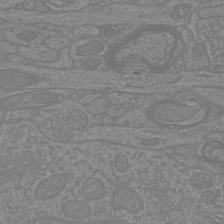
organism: Mouse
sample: Cortical neurons